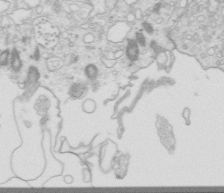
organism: Mouse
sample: Multiciliated cells